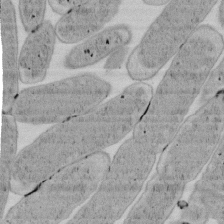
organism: E. coli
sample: Bacterial nucleoid